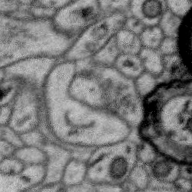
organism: Zebra finch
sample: Brain